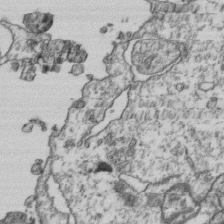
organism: Human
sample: Activated Jurkat CD4+ T cells